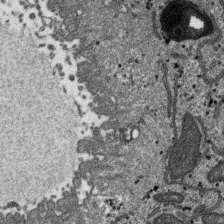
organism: Human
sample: Lung epithelial cells infected with SARS-CoV-2